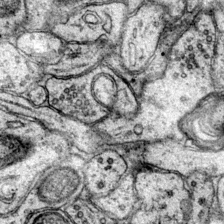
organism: Mouse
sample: Primary visual cortex